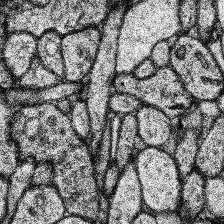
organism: Human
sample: Temporal Lobe